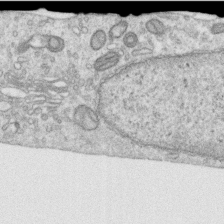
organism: Human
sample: Centriole in RPE cells